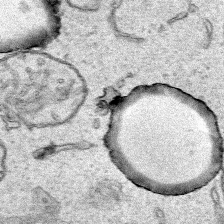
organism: Human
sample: Mitochondria in HCT116 cells